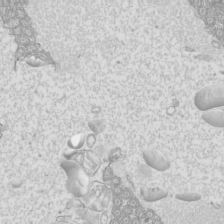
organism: Mouse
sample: Cilia; mouse epididymis